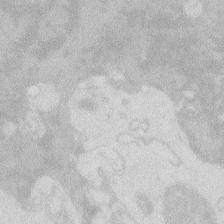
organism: Zebrafish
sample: Macrophage